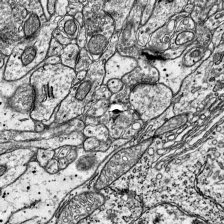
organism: Mouse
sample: Visual Cortex